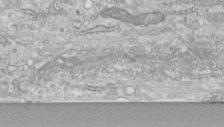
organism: Human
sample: Centriole in fibroblast cells